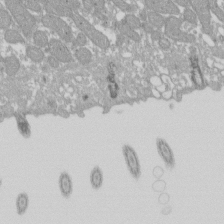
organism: Xenopus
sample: Cilia; centrioles in frog embryo cells